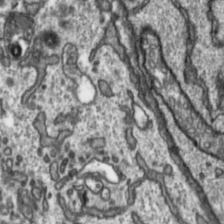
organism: Toxoplasma gondii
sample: Parasites in a vacuole inside a host cell